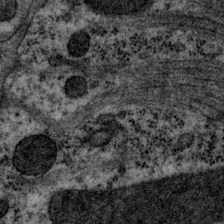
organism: P. pacificus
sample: Pharynx